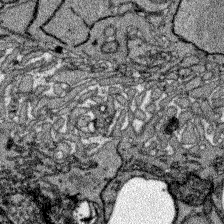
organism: Zebrafish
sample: Larval olfactory bulb